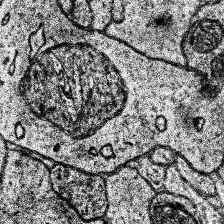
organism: Human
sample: Temporal Lobe